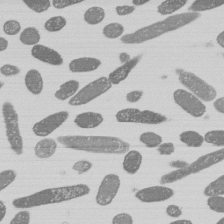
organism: E. coli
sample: Bacterial nucleoid